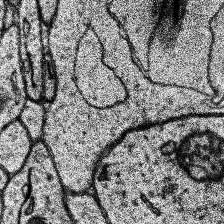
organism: Human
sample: Temporal Lobe